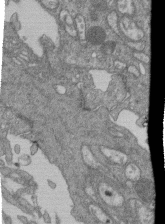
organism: Human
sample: Retinal organoid Rod and Cone cells